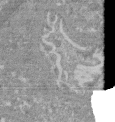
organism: Mouse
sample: Glomerulus